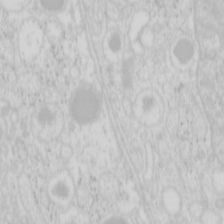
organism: Mouse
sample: Pancreas